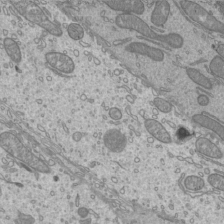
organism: Mouse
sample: Cilia; mouse epididymis